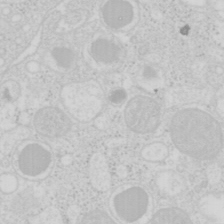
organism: Mouse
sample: Pancreas